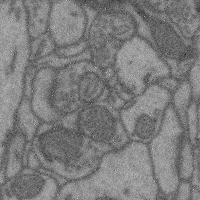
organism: Mouse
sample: Cerebral cortex